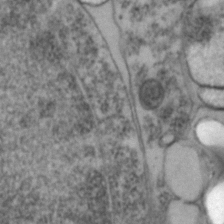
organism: Zebrafish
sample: Zebrafish embryo